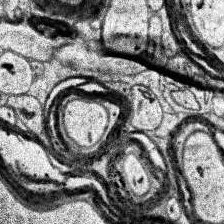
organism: Human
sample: Temporal Lobe